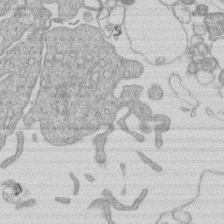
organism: Human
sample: Macrophage cells